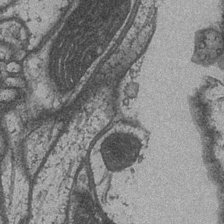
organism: Drosophila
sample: Optic medulla